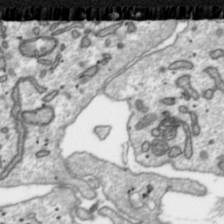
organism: Toxoplasma gondii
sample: Parasites in a vacuole inside a host cell